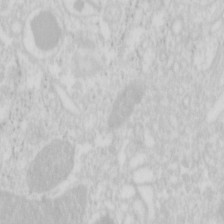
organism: Mouse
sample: Pancreas